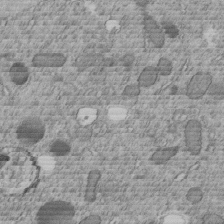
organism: C. elegans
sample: C. elegans embryo early stage